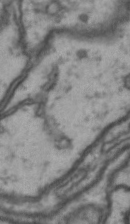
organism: Drosophila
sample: Brain